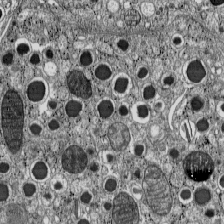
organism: C57BL Mouse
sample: Pancreatic islet